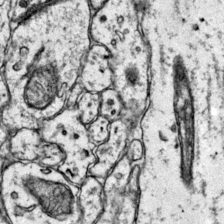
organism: Mouse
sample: Primary visual cortex